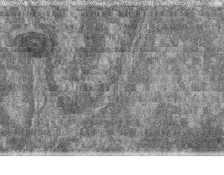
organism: Zebrafish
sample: Cilia; retinal pigment epithelium